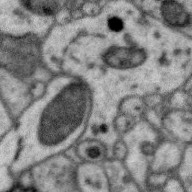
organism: Zebra finch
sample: Brain